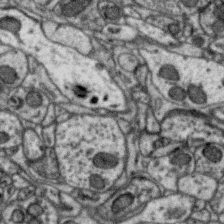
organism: Zebra finch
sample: Brain